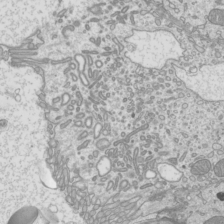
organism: Mouse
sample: Cilia; mouse epididymis